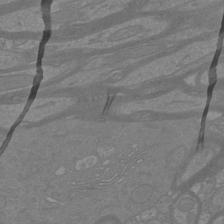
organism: Mouse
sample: Cortical neurons